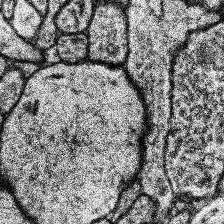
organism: Human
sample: Temporal Lobe